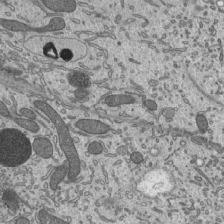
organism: Mouse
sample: Mouse epididymis efferent ductule cilia